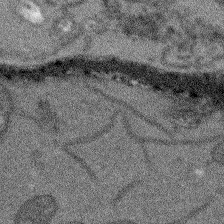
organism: Arabidopsis thaliana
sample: Root tip